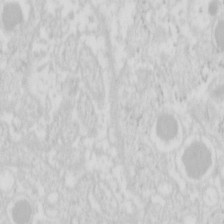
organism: Mouse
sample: Pancreas